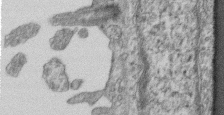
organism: Mouse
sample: Centriole in ependymal cells